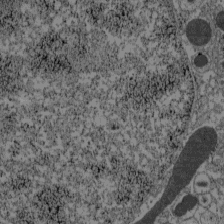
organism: C57BL Mouse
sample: Pancreatic islet